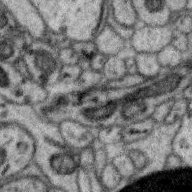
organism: Zebra finch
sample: Brain